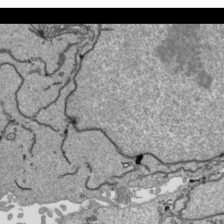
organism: Human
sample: Mitochondria in HCT116 cells